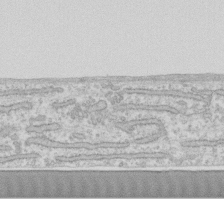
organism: Human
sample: Fibroblast cells